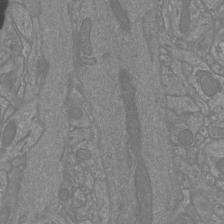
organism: Mouse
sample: Cortical neurons